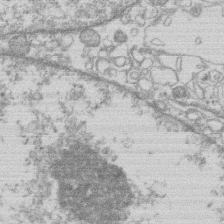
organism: Human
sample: Macrophage cells